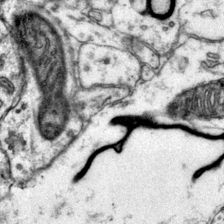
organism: Mouse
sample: Primary visual cortex